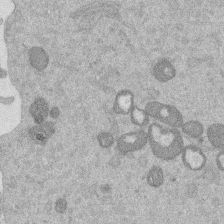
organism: Mouse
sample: Dividing mouse embryo 1 cell stage